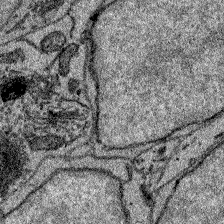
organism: Zebrafish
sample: Larval olfactory bulb